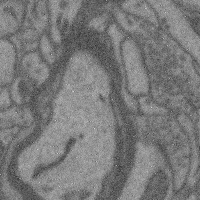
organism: Mouse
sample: Cerebral cortex